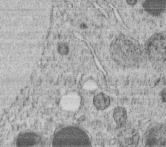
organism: C. elegans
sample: C. elegans embryo early stage